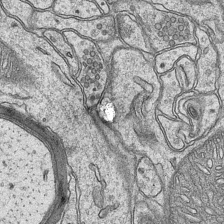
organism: Mouse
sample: CA1 Hippocampus